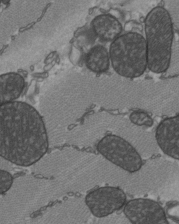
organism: C57BL Mouse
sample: Heart